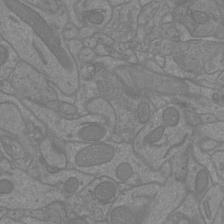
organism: Mouse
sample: Cortical neurons